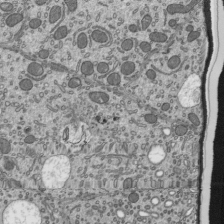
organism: Mouse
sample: Mouse epididymis efferent ductule cilia